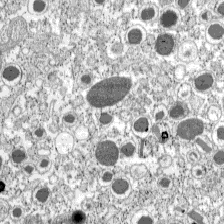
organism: C57BL Mouse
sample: Pancreatic islet